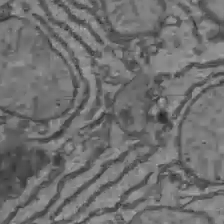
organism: C57BL Mouse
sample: Liver